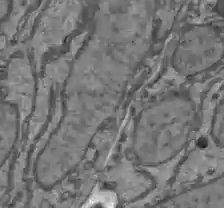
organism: C57BL Mouse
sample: Liver